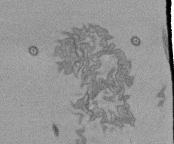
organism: Tetrahymena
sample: Cilia in tetrahymena